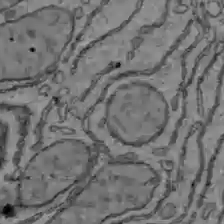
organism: C57BL Mouse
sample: Liver